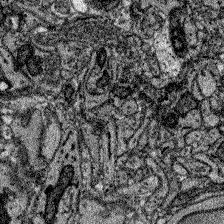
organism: Zebrafish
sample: Larval olfactory bulb